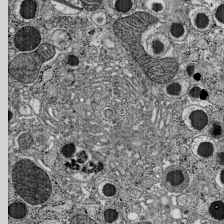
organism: C57BL Mouse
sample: Pancreatic islet